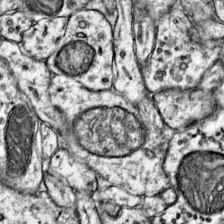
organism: Mouse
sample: Primary visual cortex